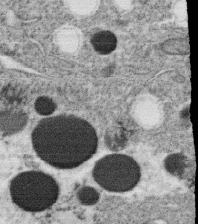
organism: C. elegans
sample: C. elegans oocyte; sperm cells